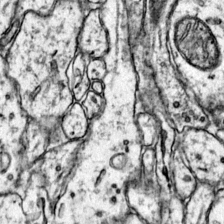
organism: Mouse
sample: Primary visual cortex